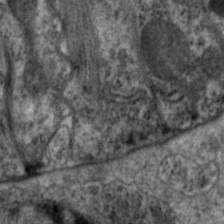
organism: C. elegans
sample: Pharynx